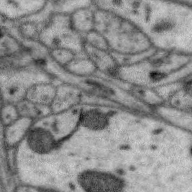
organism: Zebra finch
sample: Brain